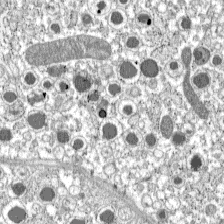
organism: C57BL Mouse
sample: Pancreatic islet